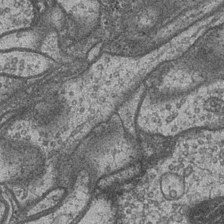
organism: Drosophila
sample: Optic medulla